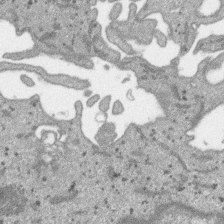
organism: Human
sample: Lung epithelial cells infected with SARS-CoV-2